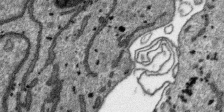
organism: Human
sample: Lung epithelial cells, uninfected (mock) control